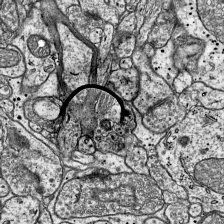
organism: Mouse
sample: Visual Cortex